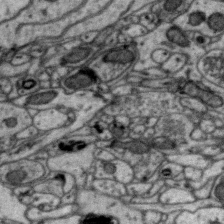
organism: Zebra finch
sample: Brain